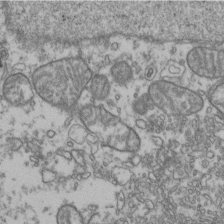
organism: Human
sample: Activated Jurkat CD4+ T cells